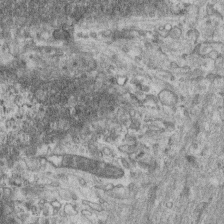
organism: Mouse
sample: Centriole in ependymal cells